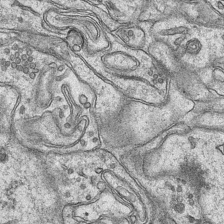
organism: Mouse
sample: CA1 Hippocampus